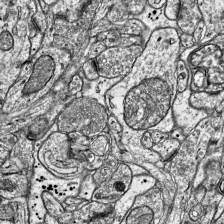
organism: Mouse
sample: Visual Cortex